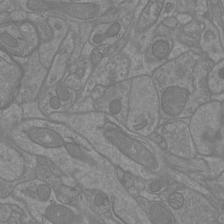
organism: Mouse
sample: Cortical neurons